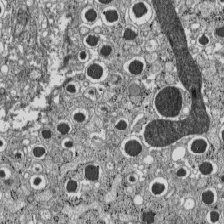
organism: C57BL Mouse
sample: Pancreatic islet